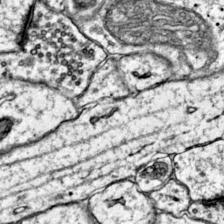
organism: Mouse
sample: Primary visual cortex